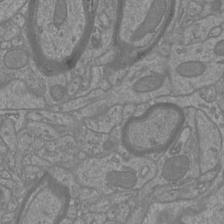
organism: Mouse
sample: Cortical neurons